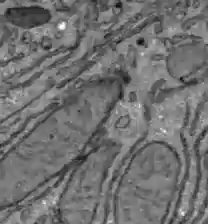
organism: C57BL Mouse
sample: Liver